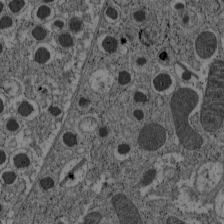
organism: C57BL Mouse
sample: Pancreatic islet